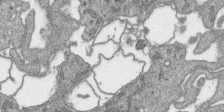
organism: Human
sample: Lung epithelial cells infected with SARS-CoV-2